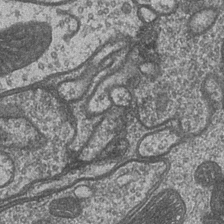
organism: Drosophila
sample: Optic medulla